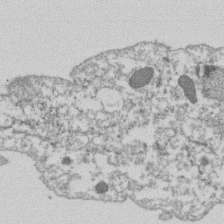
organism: Dictyostelium discoideum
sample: Dictyostelium multivesicular bodies